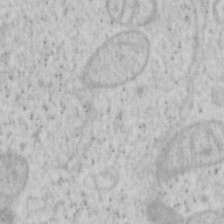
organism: Human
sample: HeLa cells